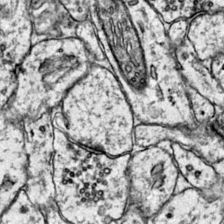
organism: Mouse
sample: Primary visual cortex